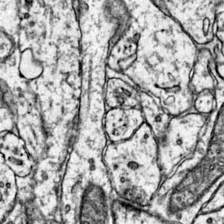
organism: Mouse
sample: Primary visual cortex